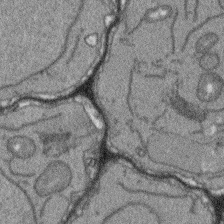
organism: Arabidopsis thaliana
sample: Root tip